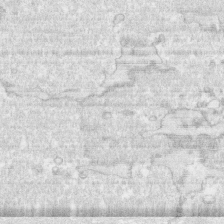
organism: Human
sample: CRL-1474